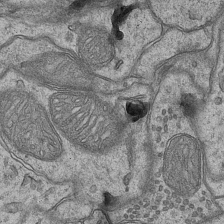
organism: Mouse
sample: CA1 Hippocampus